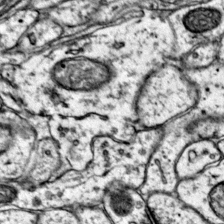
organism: Mouse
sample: Primary visual cortex